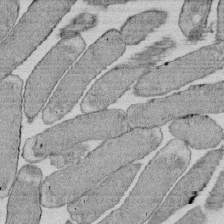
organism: E. coli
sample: Bacterial nucleoid